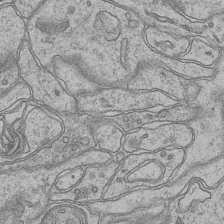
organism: Mouse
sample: CA1 Hippocampus